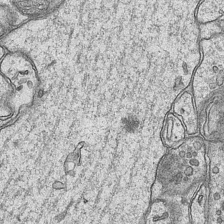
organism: Mouse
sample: CA1 Hippocampus